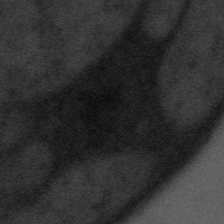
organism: Tuwongella immobilis